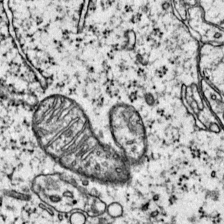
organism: Mouse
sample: Primary visual cortex